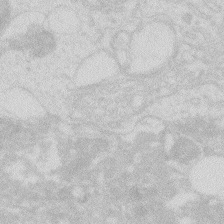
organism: Zebrafish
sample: Macrophage